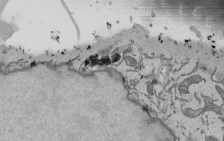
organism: Mouse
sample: ED-1 cell nuclei; centrioles